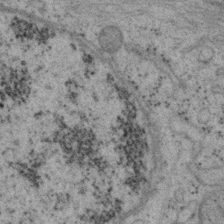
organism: Human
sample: HeLa cells